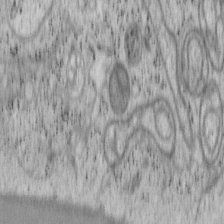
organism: Human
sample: HeLa cells